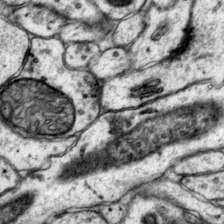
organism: Mouse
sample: Primary visual cortex